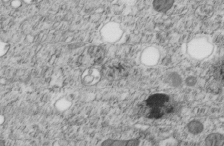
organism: C. elegans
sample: C. elegans embryo early stage